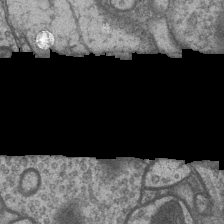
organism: Drosophila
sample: Optic medulla